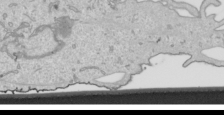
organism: Human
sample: Mitochondria in HCT116 cells